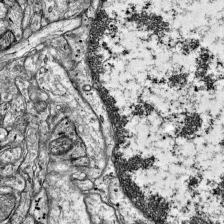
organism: Mouse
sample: Visual Cortex